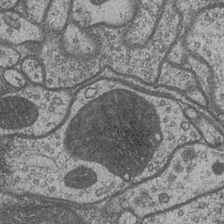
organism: Drosophila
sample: Optic medulla